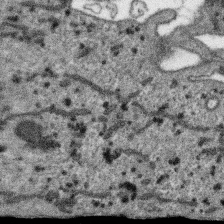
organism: Human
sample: Lung epithelial cells infected with SARS-CoV-2